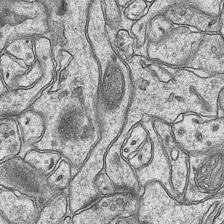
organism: Mouse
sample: CA1 Hippocampus